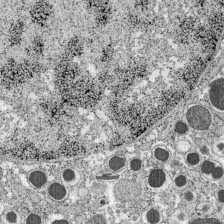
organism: C57BL Mouse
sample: Pancreatic islet